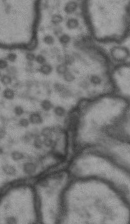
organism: Drosophila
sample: Brain